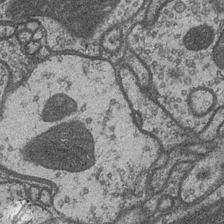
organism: Drosophila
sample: Optic medulla